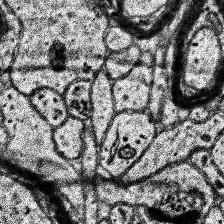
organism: Human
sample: Temporal Lobe